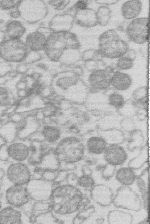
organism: Human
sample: Macrophage cells